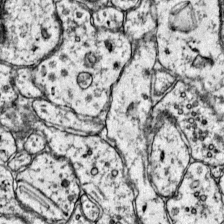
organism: Mouse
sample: Primary visual cortex